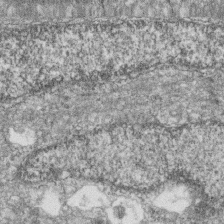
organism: Zebrafish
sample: Cilia; retinal pigment epithelium